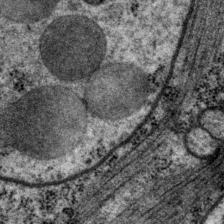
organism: P. pacificus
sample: Pharynx